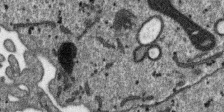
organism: Human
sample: Lung epithelial cells infected with SARS-CoV-2